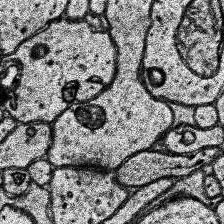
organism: Human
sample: Temporal Lobe